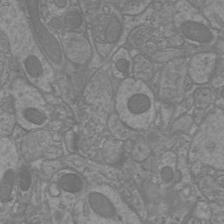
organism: Mouse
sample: Cortical neurons